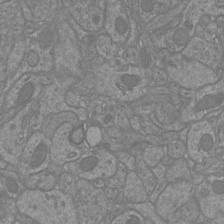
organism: Mouse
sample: Cortical neurons